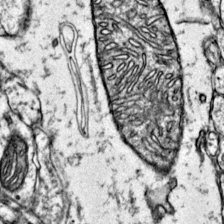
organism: Mouse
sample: Primary visual cortex